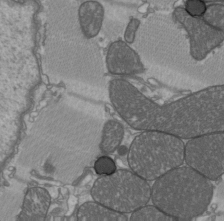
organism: C57BL Mouse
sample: Heart